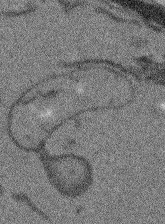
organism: Arabidopsis thaliana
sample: Root tip